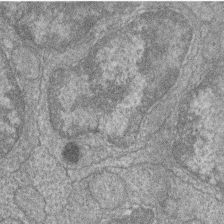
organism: Zebrafish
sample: Cilia; retinal pigment epithelium